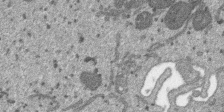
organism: Human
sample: Lung epithelial cells infected with SARS-CoV-2